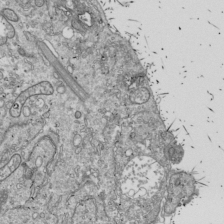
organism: Drosophila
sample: Cell division; meiosis; drosophila spermatocytes